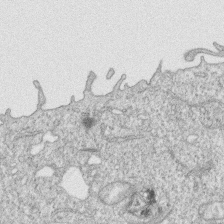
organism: Human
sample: HeLa cell HIV synapse